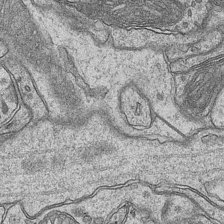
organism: Mouse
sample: CA1 Hippocampus